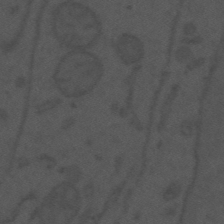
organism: Mouse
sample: Suprachiasmatic nucleus